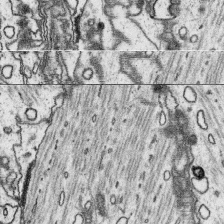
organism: Platynereis dumerilii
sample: Parapodia